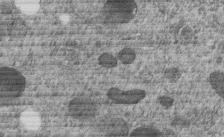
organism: C. elegans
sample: C. elegans embryo early stage